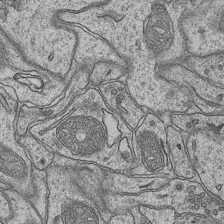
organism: Mouse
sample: CA1 Hippocampus